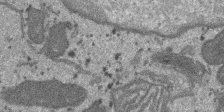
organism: Human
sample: Lung epithelial cells infected with SARS-CoV-2